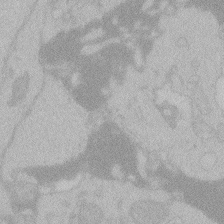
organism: Zebrafish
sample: Macrophage infected with Toxoplasma gondii